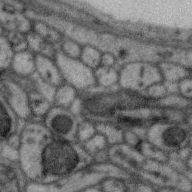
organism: Zebra finch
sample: Brain